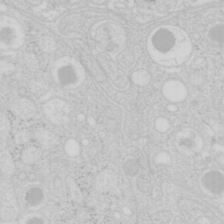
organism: Mouse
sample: Pancreas